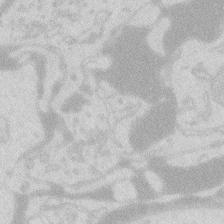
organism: Zebrafish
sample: Macrophage